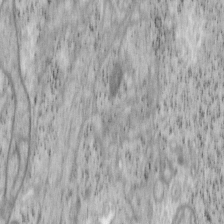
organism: Human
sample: HeLa cells